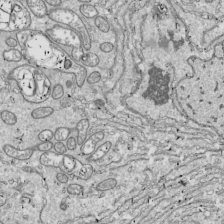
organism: Drosophila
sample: Cell division; meiosis; drosophila spermatocytes